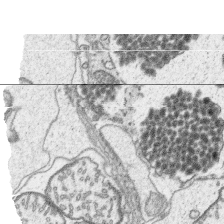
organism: Platynereis dumerilii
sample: Parapodia